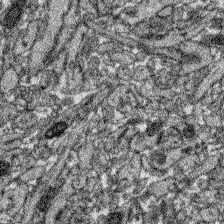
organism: Zebrafish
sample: Larval olfactory bulb